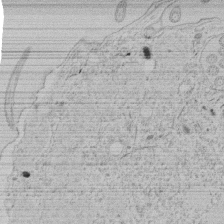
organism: Tetrahymena